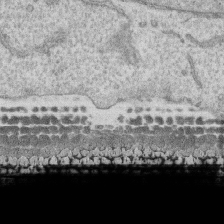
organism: Human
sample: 1205lu cells